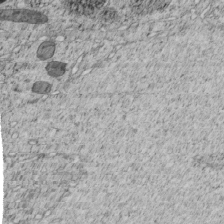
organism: C. elegans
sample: C. elegans embryo early stage